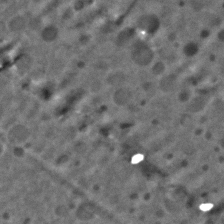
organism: C. elegans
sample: C. elegans embryo